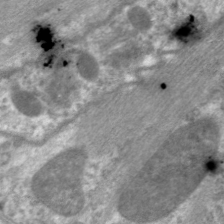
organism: C. elegans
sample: Pharynx